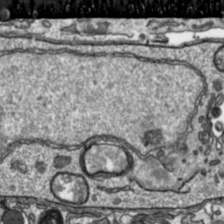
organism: Toxoplasma gondii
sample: Parasites in a vacuole inside a host cell